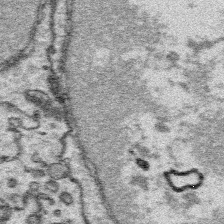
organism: Platynereis dumerilii